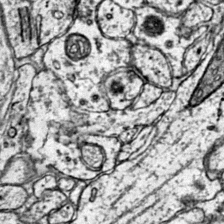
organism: Mouse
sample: Primary visual cortex